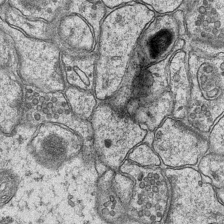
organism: Mouse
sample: CA1 Hippocampus